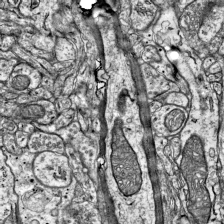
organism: Mouse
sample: Visual Cortex